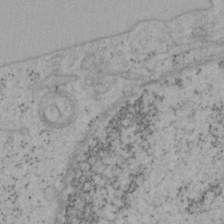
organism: Human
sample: HeLa cells